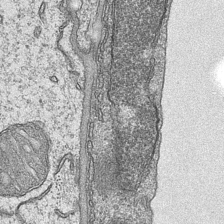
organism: Mouse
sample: CA1 Hippocampus